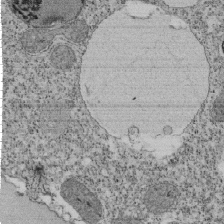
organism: Tetrahymena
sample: Cilia in tetrahymena